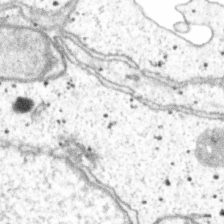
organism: Human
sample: HeLa cells